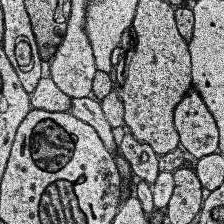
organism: Human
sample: Temporal Lobe